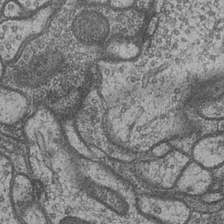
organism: Drosophila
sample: Optic medulla